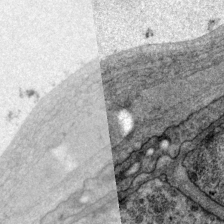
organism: P. pacificus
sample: Pharynx